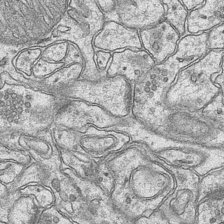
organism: Mouse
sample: CA1 Hippocampus